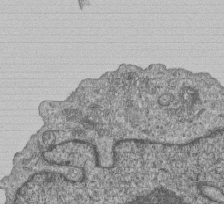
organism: Human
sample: MDA-MB-231 cells